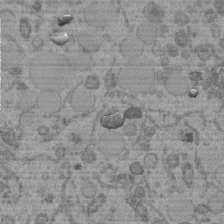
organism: C. elegans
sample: C. elegans embryo early stage